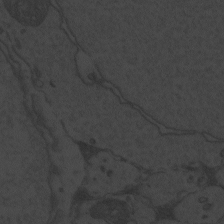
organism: Zebrafish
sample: Macrophage infected with Toxoplasma gondii